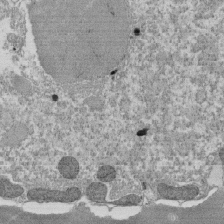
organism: Tetrahymena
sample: Cilia in tetrahymena